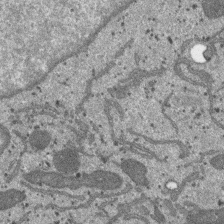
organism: Human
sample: Lung epithelial cells infected with SARS-CoV-2